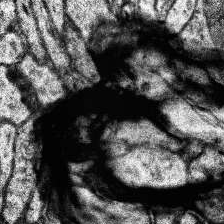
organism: Human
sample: Temporal Lobe